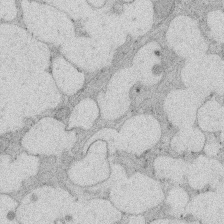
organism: Rat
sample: Salivary granule